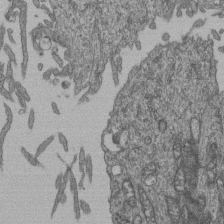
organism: Human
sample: Retinal organoid Rod and Cone cells